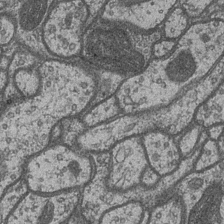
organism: Drosophila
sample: Optic medulla